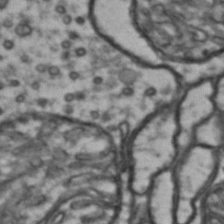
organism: Drosophila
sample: Brain